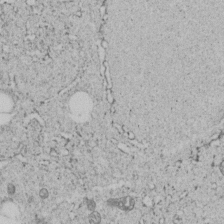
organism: C. elegans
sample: C. elegans embryo early stage